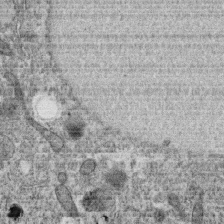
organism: C. elegans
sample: C. elegans oocyte; sperm cells